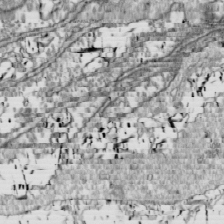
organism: Drosophila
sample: Cell division; meiosis; drosophila spermatocytes